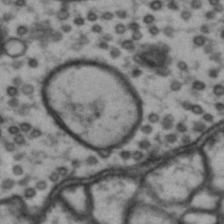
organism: Drosophila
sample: Brain